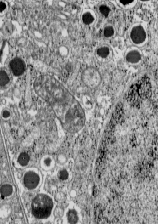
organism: C57BL Mouse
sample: Pancreatic islet